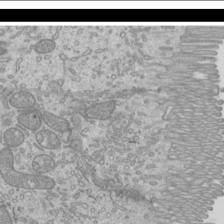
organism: Mouse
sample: Cilia; mouse epididymis